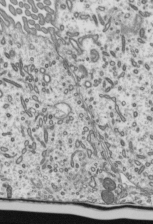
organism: Mouse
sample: Mouse epididymis efferent ductule cilia